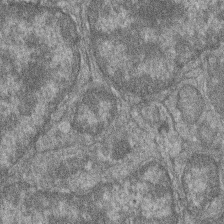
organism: Zebrafish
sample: Cilia; retinal pigment epithelium